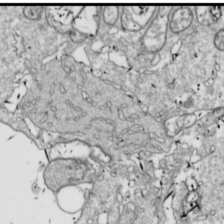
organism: Drosophila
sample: Cell division; meiosis; drosophila spermatocytes